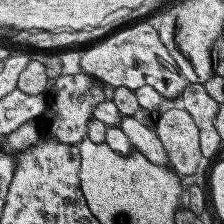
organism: Human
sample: Temporal Lobe